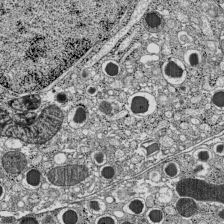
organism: C57BL Mouse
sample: Pancreatic islet